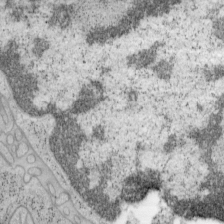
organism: Mouse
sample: OT-I killer T cells with ID8 ovarian cancer cells